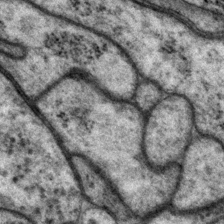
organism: P. pacificus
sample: Pharynx